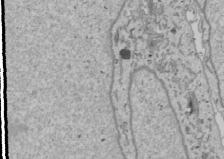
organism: Human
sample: Mitochondria in U2OS cells